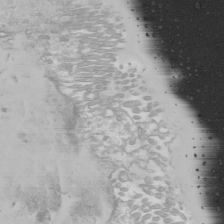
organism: Mouse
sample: Cilia; mouse epididymis